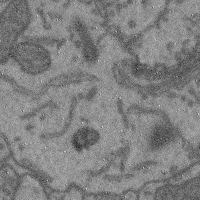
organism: Mouse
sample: Cerebral cortex